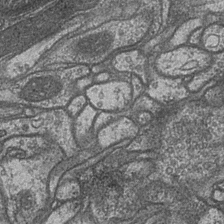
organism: Drosophila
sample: Optic medulla